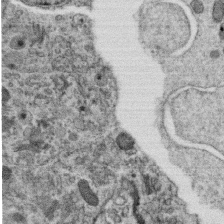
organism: C. elegans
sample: C. elegans oocyte; sperm cells